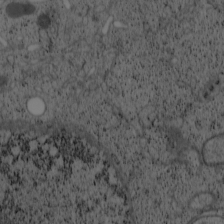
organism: African green monkey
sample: COS-7 cells